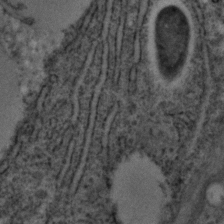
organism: C. elegans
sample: C. elegans embryo